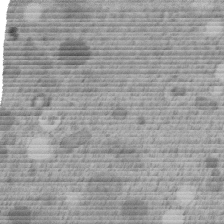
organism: C. elegans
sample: C. elegans embryo early stage